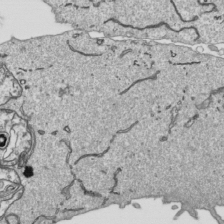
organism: Human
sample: Mitochondria in HCT116 cells